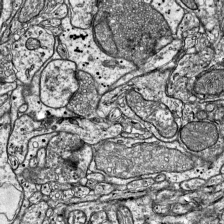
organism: Mouse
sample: Visual Cortex